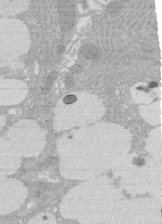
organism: Rat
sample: Salivary granule